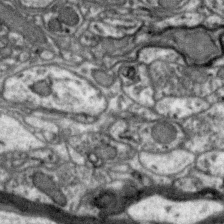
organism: Zebra finch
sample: Brain